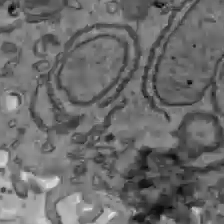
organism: C57BL Mouse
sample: Liver